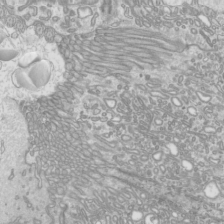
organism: Mouse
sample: Cilia; mouse epididymis